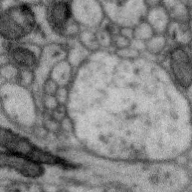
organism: Zebra finch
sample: Brain